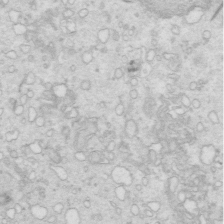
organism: Mouse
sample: Multiciliated cells